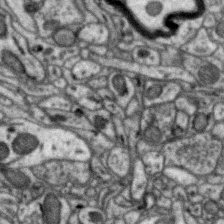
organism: Zebra finch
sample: Brain